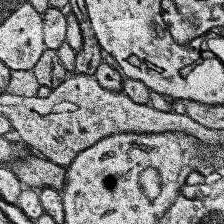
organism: Human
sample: Temporal Lobe